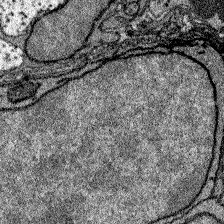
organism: Zebrafish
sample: Larval olfactory bulb